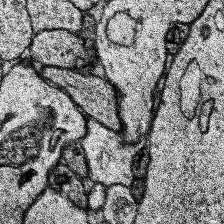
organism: Human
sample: Temporal Lobe